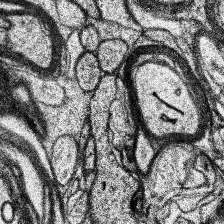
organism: Human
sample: Temporal Lobe